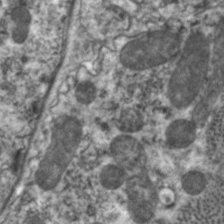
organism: C. elegans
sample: Pharynx